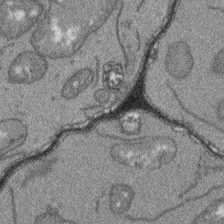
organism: Arabidopsis thaliana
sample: Root tip